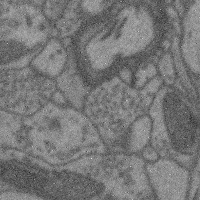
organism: Mouse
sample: Cerebral cortex